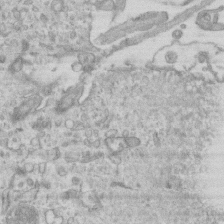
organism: Mouse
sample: Centriole in ependymal cells